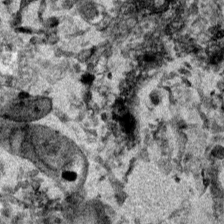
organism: Mouse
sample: Cancer cell death in ED-1 cells